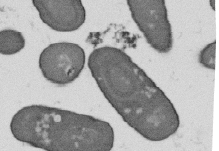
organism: B. subtilis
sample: Bacterial spore